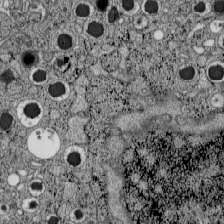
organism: C57BL Mouse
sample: Pancreatic islet